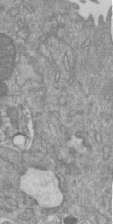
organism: Mouse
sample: ED-1 cell nuclei; centrioles